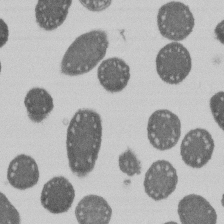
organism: E. coli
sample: Bacterial nucleoid